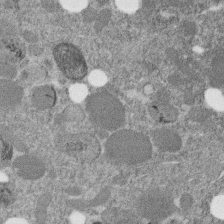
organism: C. elegans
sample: C. elegans embryo early stage